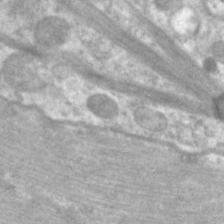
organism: C. elegans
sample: Pharynx